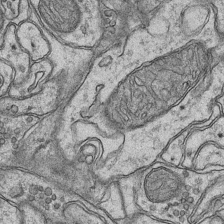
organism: Mouse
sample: CA1 Hippocampus